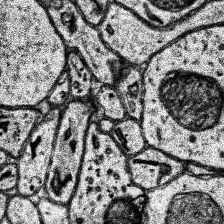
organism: Human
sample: Temporal Lobe